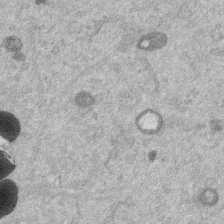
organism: Mouse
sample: Dividing mouse embryo 1 cell stage